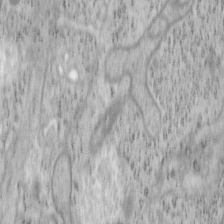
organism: Human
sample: HeLa cells